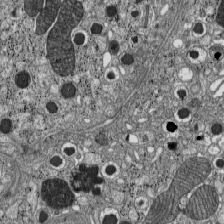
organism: C57BL Mouse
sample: Pancreatic islet